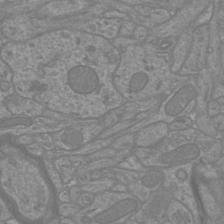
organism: Mouse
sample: Cortical neurons